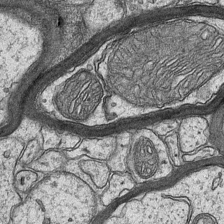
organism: Mouse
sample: CA1 Hippocampus